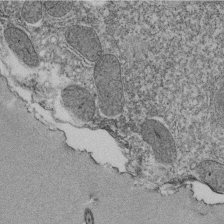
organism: Tetrahymena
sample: Cilia in tetrahymena